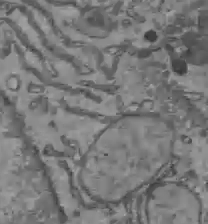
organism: C57BL Mouse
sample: Liver